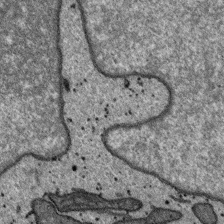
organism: Human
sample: Lung epithelial cells, uninfected (mock) control